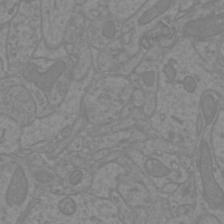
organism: Mouse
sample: Cortical neurons